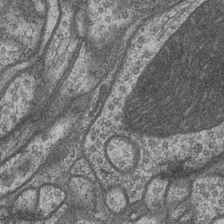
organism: Drosophila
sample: Optic medulla